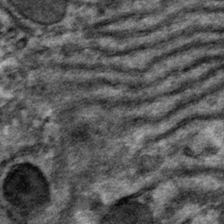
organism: Mouse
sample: Mouse hepatocytes